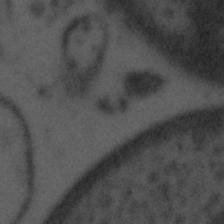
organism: Tuwongella immobilis